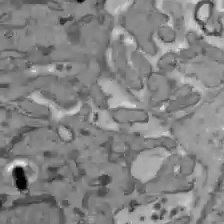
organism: C57BL Mouse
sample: Liver